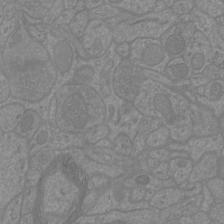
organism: Mouse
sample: Cortical neurons